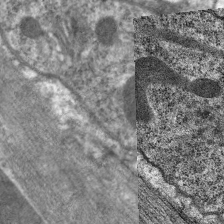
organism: C. elegans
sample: Pharynx